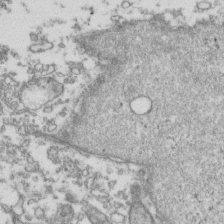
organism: Human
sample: Activated Jurkat CD4+ T cells